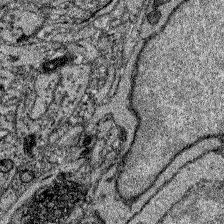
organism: Zebrafish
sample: Larval olfactory bulb